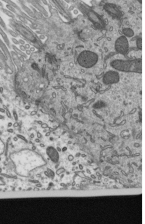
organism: Mouse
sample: Mouse epididymis efferent ductule cilia